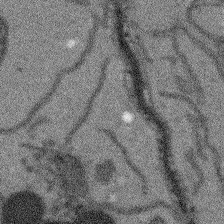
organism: Arabidopsis thaliana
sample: Root tip